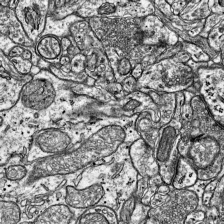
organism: Mouse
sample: Visual Cortex